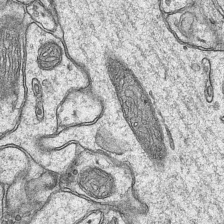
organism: Mouse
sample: CA1 Hippocampus